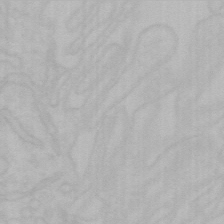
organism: Mouse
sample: Choroid plexus